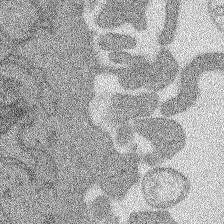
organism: Human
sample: HeLa cells